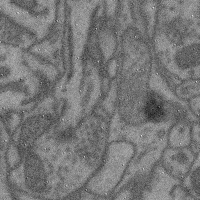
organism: Mouse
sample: Cerebral cortex